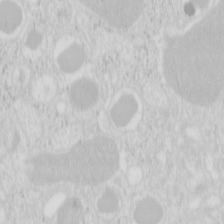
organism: Mouse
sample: Pancreas